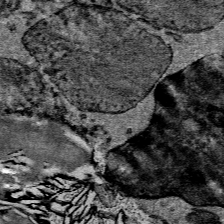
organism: Mouse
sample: Mouse Salivary gland